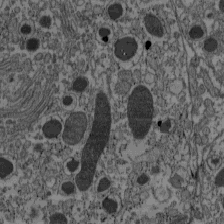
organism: C57BL Mouse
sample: Pancreatic islet